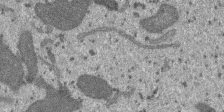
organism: Human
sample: Lung epithelial cells infected with SARS-CoV-2